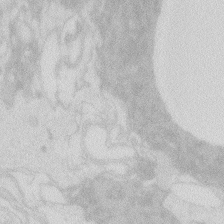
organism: Zebrafish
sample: Macrophage